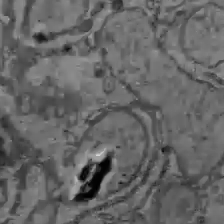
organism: C57BL Mouse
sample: Liver